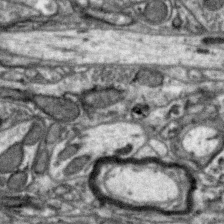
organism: Zebra finch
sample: Brain